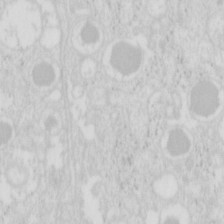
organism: Mouse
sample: Pancreas